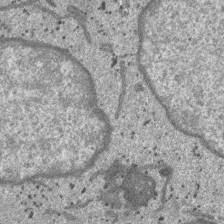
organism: Human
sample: Lung epithelial cells infected with SARS-CoV-2